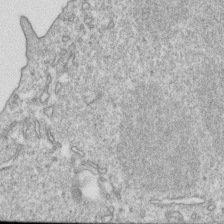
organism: Mouse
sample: Activated OT-1 CD8+ T cells